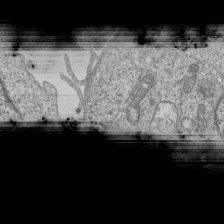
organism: Human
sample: MDA-MB-231 cells